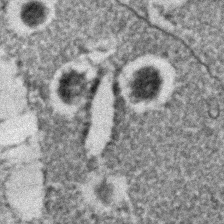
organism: C. elegans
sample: C. elegans embryo